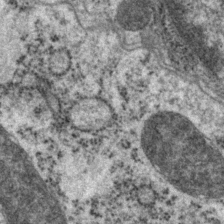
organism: P. pacificus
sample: Pharynx